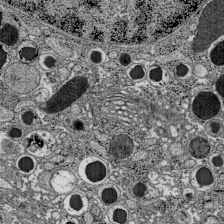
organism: C57BL Mouse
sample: Pancreatic islet